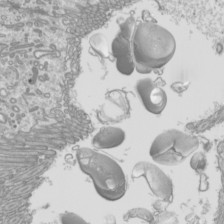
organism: Mouse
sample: Cilia; mouse epididymis